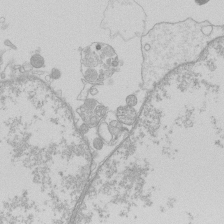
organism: Human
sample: Macrophage cells